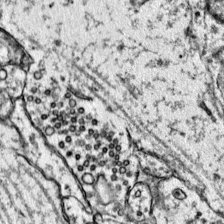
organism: Mouse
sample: Primary visual cortex